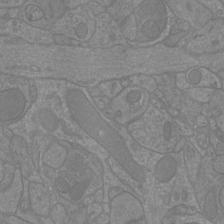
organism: Mouse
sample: Cortical neurons